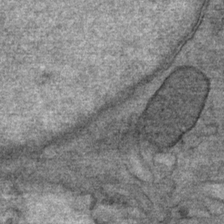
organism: Mouse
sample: Mouse Salivary gland